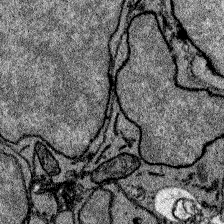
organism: Zebrafish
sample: Larval olfactory bulb